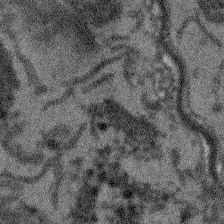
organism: Arabidopsis thaliana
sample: Root tip